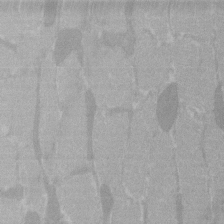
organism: C57BL Mouse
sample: Tibialis anterior muscle cell